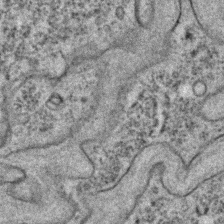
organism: C. elegans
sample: C. elegans embryo